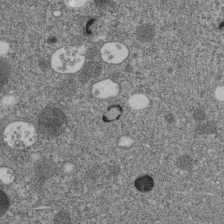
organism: C. elegans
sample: C. elegans embryo early stage